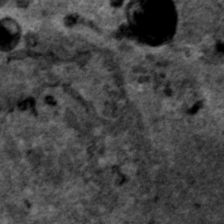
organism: Human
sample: Mitochondria in HCT116 cells